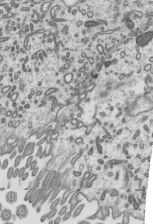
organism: Mouse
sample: Mouse epididymis efferent ductule cilia